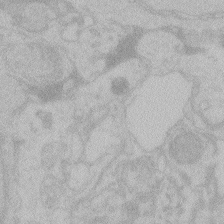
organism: Zebrafish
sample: Macrophage infected with Toxoplasma gondii